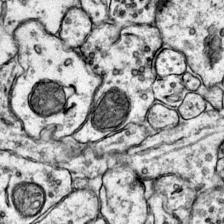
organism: Mouse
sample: Primary visual cortex